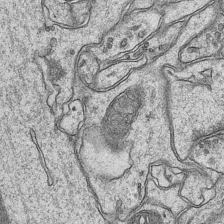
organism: Mouse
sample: CA1 Hippocampus